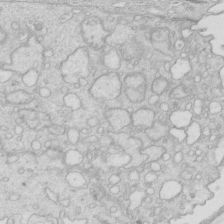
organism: Mouse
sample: Multiciliated cells